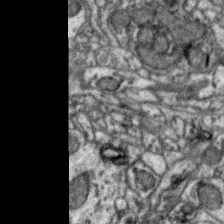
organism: Zebra finch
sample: Brain